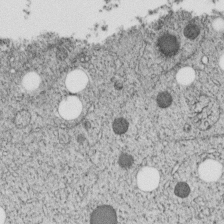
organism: C. elegans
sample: C. elegans embryo early stage